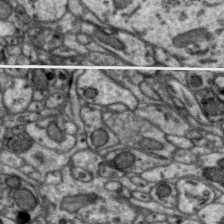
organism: Zebra finch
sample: Brain